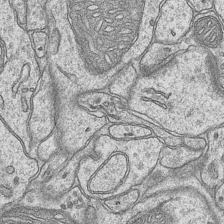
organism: Mouse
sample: CA1 Hippocampus